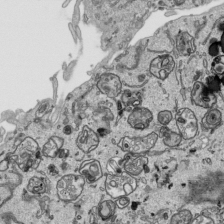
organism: Human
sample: Mitochondria in HCT116 cells